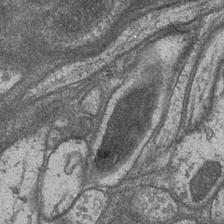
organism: Drosophila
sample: Optic medulla